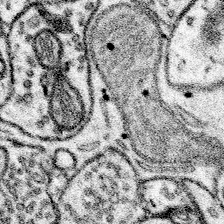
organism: Mouse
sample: Somatosensory cortex neuropil